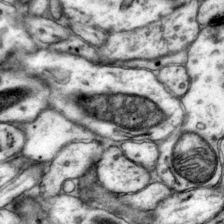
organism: Mouse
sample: Primary visual cortex